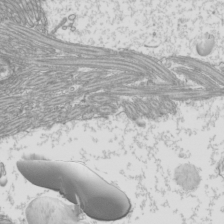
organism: Mouse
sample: Cilia; mouse epididymis